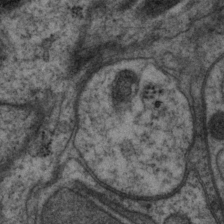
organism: P. pacificus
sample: Pharynx